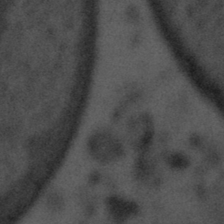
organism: Tuwongella immobilis